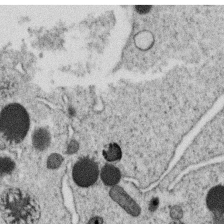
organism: C. elegans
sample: C. elegans oocyte; sperm cells